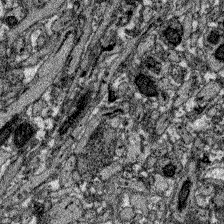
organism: Zebrafish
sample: Larval olfactory bulb